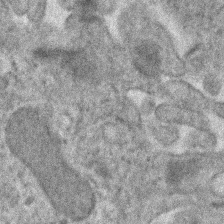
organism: Human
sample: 1205lu cells